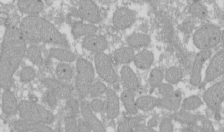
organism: Xenopus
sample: Cilia; centrioles in frog embryo cells